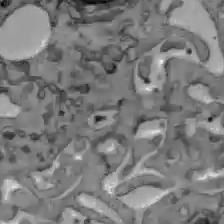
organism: C57BL Mouse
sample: Liver